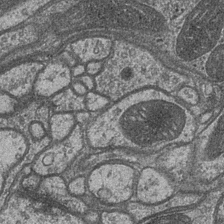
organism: Drosophila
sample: Optic medulla